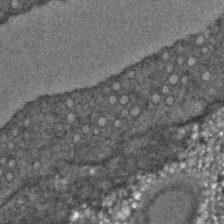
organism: C. elegans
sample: C. elegans embryo